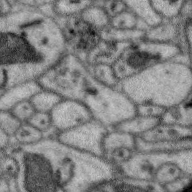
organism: Zebra finch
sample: Brain